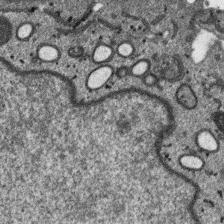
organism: Human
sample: Lung epithelial cells infected with SARS-CoV-2